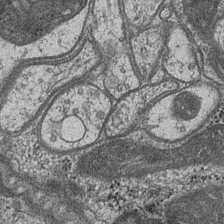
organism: Drosophila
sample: Optic medulla